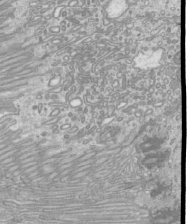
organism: Mouse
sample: Cilia; mouse epididymis